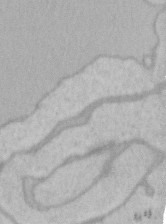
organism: Human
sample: HeLa cells